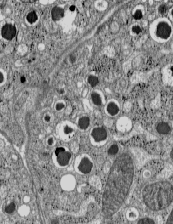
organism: C57BL Mouse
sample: Pancreatic islet